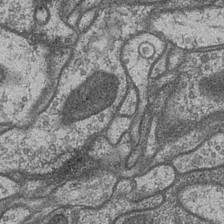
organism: Drosophila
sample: Optic medulla